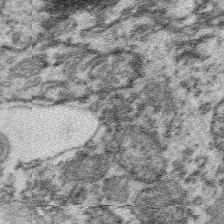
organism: Platynereis dumerilii